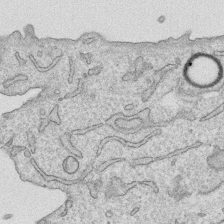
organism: Human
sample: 1205lu cells